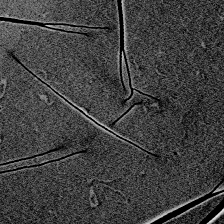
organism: Zebrafish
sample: Whole-Brain